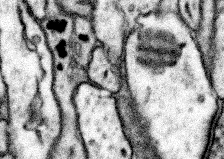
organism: Mouse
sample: Somatosensory cortex neuropil